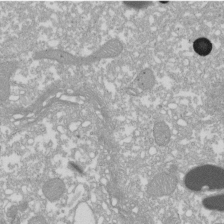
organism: Xenopus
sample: Cilia; centrioles in frog embryo cells